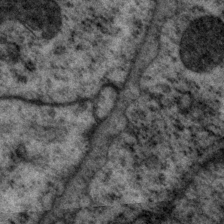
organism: P. pacificus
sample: Pharynx